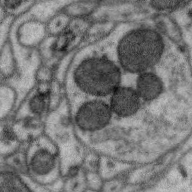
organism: Zebra finch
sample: Brain